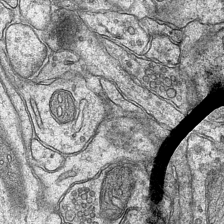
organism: Mouse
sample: CA1 Hippocampus